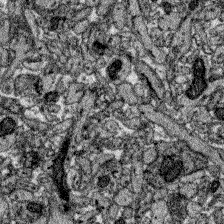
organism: Zebrafish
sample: Larval olfactory bulb